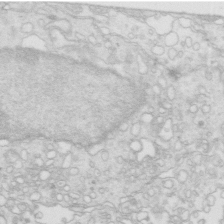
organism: Mouse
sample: Multiciliated cells